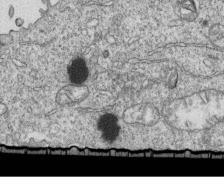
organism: Human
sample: HeLa cell HIV synapse